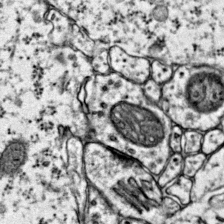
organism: Mouse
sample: Primary visual cortex